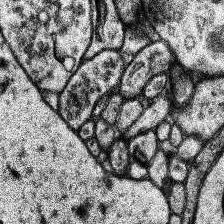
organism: Human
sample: Temporal Lobe